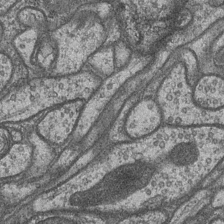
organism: Drosophila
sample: Optic medulla